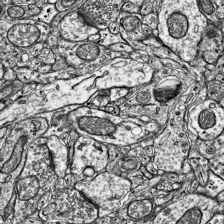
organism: Mouse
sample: Visual Cortex